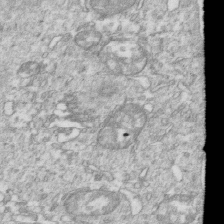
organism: Mouse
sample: Activated OT-1 CD8+ T cells